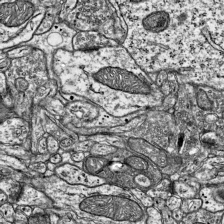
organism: Mouse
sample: Visual Cortex